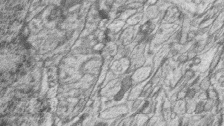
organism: Zebrafish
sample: synaptic ribbons in rod cells and cone cells